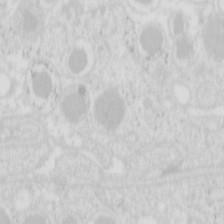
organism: Mouse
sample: Pancreas